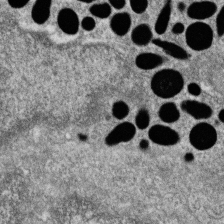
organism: Zebrafish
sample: Cilia; retinal pigment epithelium